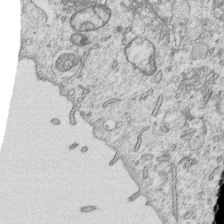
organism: Human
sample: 1205lu cells